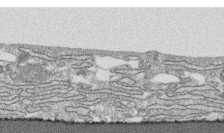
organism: Human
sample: CRL-1474